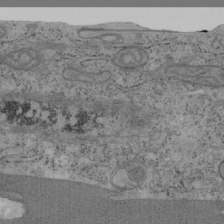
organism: Human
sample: HeLa cells